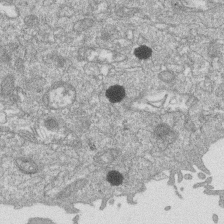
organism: Human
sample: HeLa cell HIV synapse